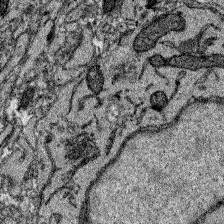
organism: Zebrafish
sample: Larval olfactory bulb